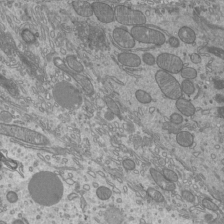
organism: Mouse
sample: Cilia; mouse epididymis